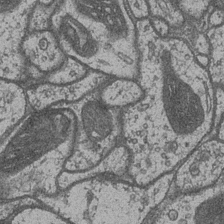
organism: Drosophila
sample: Optic medulla